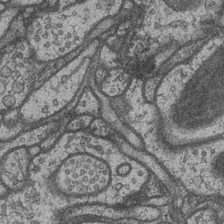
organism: Drosophila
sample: Optic medulla